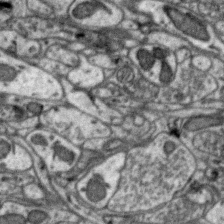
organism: Zebra finch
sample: Brain